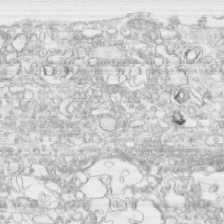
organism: Human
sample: CRL-1474